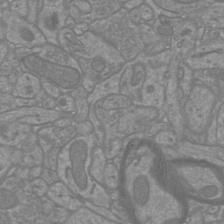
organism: Mouse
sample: Cortical neurons